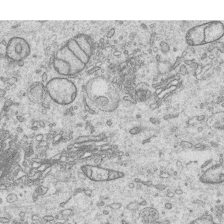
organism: Human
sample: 1205lu cells